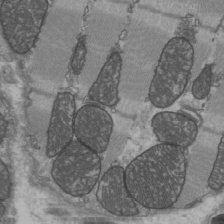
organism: C57BL Mouse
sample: Heart